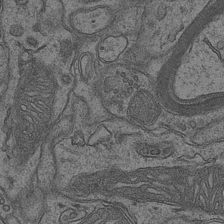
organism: Mouse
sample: CA1 Hippocampus